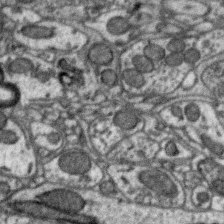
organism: Zebra finch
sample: Brain